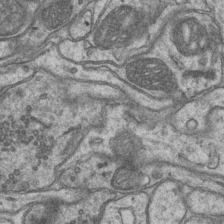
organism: Mouse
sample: CA1 Hippocampus